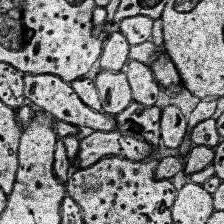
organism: Human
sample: Temporal Lobe